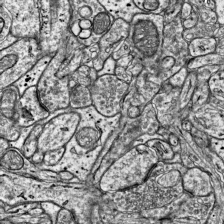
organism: Mouse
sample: Visual Cortex